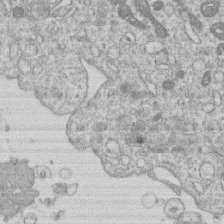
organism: Human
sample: Macrophage cells